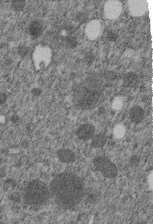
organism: C. elegans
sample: C. elegans embryo early stage